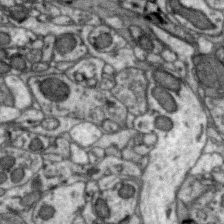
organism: Zebra finch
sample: Brain